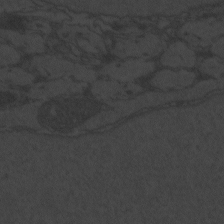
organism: Zebrafish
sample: Macrophage infected with Toxoplasma gondii